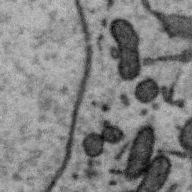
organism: Zebra finch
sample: Brain